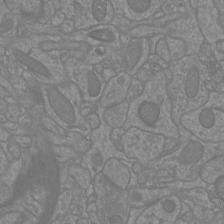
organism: Mouse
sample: Cortical neurons